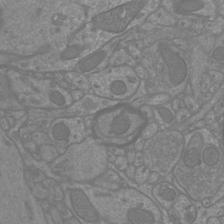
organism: Mouse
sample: Cortical neurons